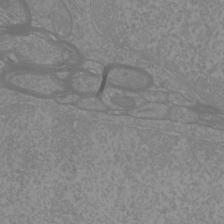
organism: Mouse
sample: Cortical neurons